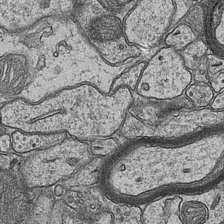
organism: Mouse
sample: CA1 Hippocampus